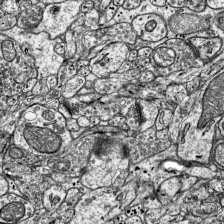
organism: Mouse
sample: Visual Cortex